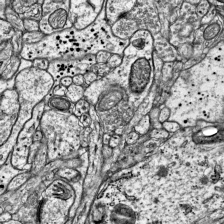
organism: Mouse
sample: Visual Cortex